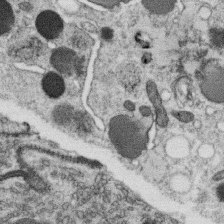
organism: C. elegans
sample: C. elegans oocyte; sperm cells